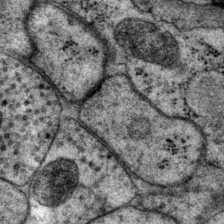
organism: P. pacificus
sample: Pharynx